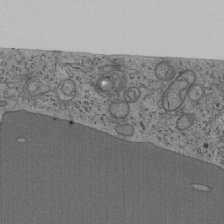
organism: Human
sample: HeLa cells